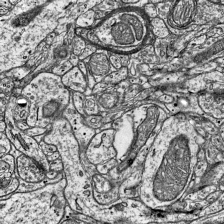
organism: Mouse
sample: Visual Cortex